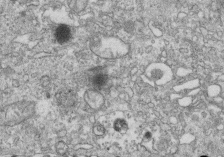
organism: Human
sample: HeLa cell HIV synapse